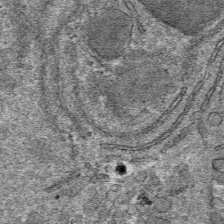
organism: Mouse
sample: Mouse hepatocytes